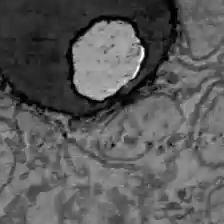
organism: C57BL Mouse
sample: Liver